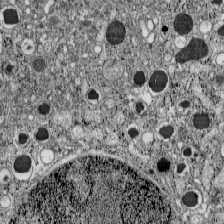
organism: C57BL Mouse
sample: Pancreatic islet